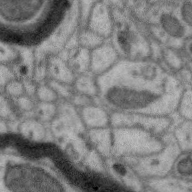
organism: Zebra finch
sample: Brain